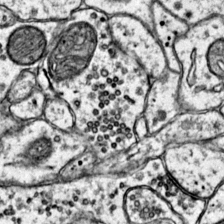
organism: Mouse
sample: Primary visual cortex